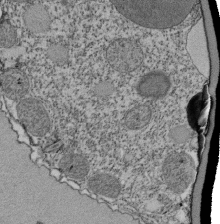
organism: Tetrahymena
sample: Cilia in tetrahymena